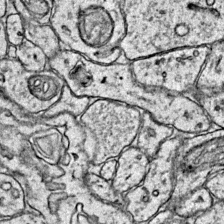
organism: Mouse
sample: Primary visual cortex